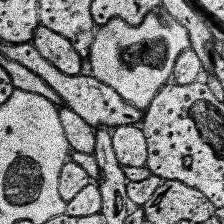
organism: Human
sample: Temporal Lobe